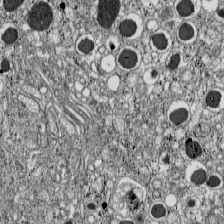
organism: C57BL Mouse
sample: Pancreatic islet